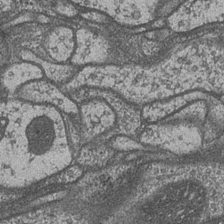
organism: Drosophila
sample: Optic medulla